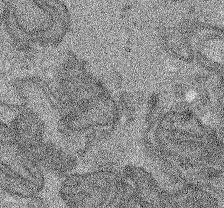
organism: Human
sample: HeLa cells